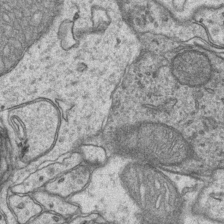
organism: Mouse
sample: CA1 Hippocampus